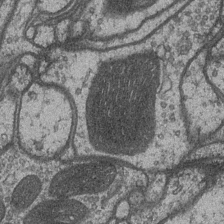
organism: Drosophila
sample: Optic medulla